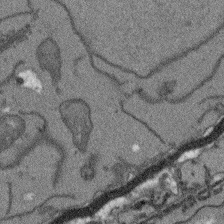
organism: Arabidopsis thaliana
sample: Root tip